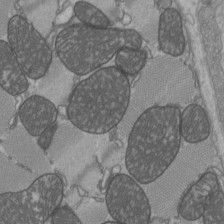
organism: C57BL Mouse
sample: Heart